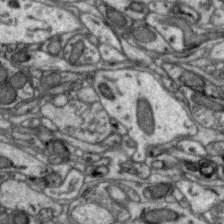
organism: Zebra finch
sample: Brain